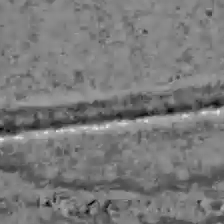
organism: C57BL Mouse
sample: Liver